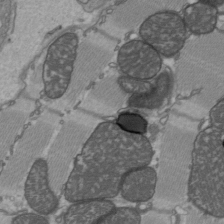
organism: C57BL Mouse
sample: Heart